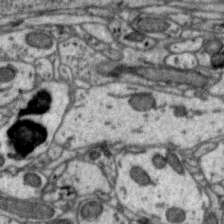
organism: Zebra finch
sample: Brain